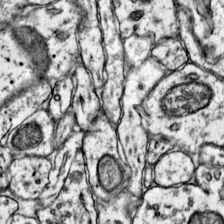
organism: Mouse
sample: Primary visual cortex